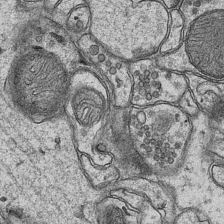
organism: Mouse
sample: CA1 Hippocampus